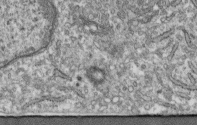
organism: Human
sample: Centriole in fibroblast cells